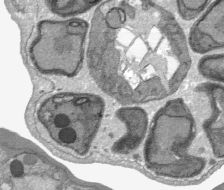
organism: Plasmodium falciparum